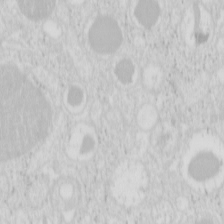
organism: Mouse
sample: Pancreas